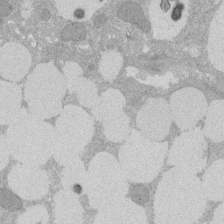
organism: Rat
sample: Salivary granule